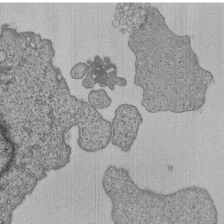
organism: Human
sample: MDA-MB-231 cells